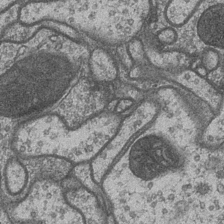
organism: Drosophila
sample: Optic medulla